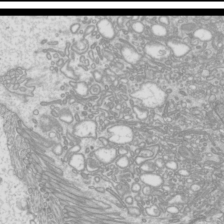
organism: Mouse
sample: Cilia; mouse epididymis